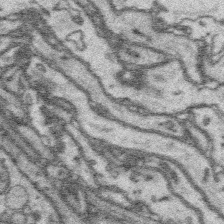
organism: Platynereis dumerilii